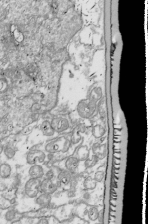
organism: Drosophila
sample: Cell division; meiosis; drosophila spermatocytes